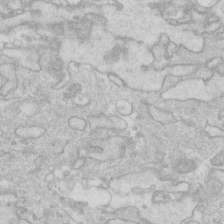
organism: Human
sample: Fibroblast cells